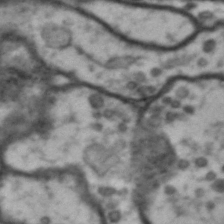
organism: Drosophila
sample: Brain